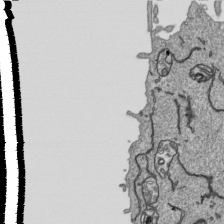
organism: Human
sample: Mitochondria in HCT116 cells